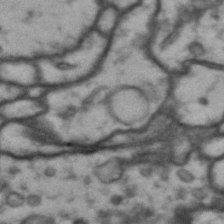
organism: Drosophila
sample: Brain